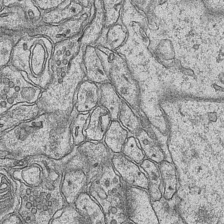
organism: Mouse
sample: CA1 Hippocampus